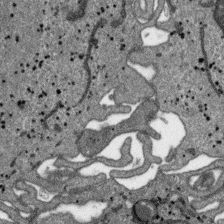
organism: Human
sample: Lung epithelial cells, uninfected (mock) control